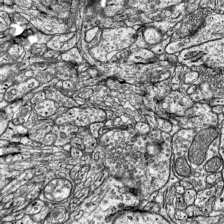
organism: Mouse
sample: Visual Cortex